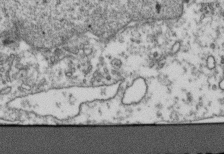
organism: Human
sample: Activated Jurkat CD4+ T cells